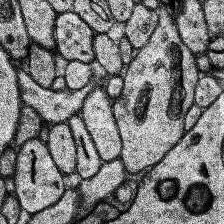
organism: Human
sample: Temporal Lobe